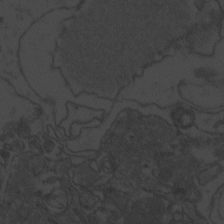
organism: Zebrafish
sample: Macrophage infected with Toxoplasma gondii